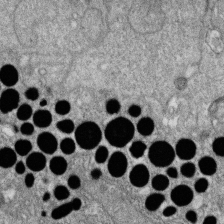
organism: Zebrafish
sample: Cilia; retinal pigment epithelium